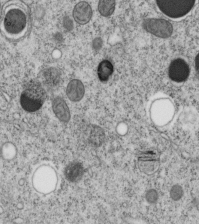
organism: C. elegans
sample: C. elegans embryo early stage